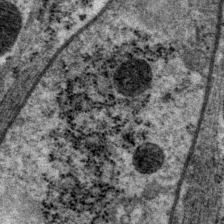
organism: P. pacificus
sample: Pharynx